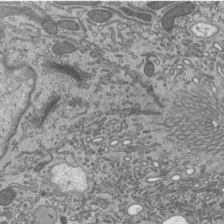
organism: Mouse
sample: Mouse epididymis efferent ductule cilia